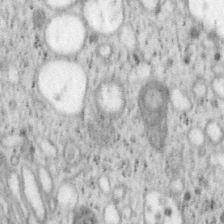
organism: Mouse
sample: OT-I killer T cells with ID8 ovarian cancer cells